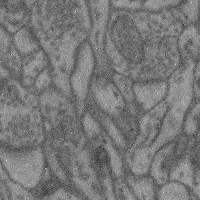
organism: Mouse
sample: Cerebral cortex